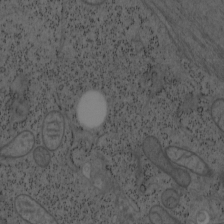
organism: Mouse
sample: OT-I killer T cells with ID8 ovarian cancer cells